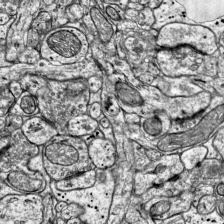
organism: Mouse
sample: Visual Cortex